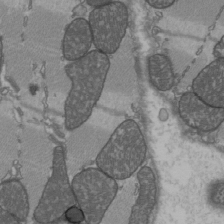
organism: C57BL Mouse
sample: Heart